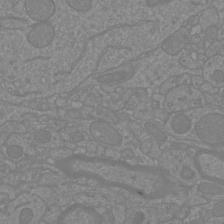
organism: Mouse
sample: Cortical neurons